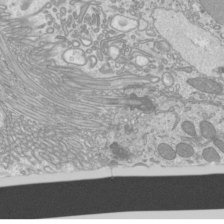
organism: Mouse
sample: Cilia; mouse epididymis